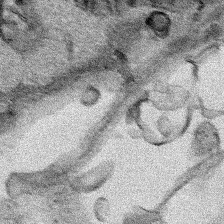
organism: Human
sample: Mitochondria in HCT116 cells